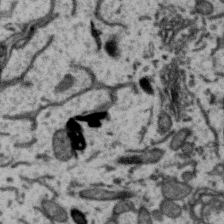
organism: Zebra finch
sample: Brain